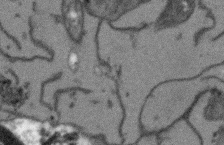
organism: Arabidopsis thaliana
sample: Root tip